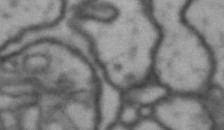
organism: Drosophila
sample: Brain